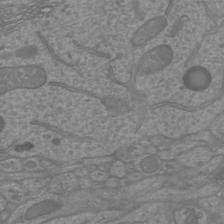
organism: Mouse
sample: Cortical neurons